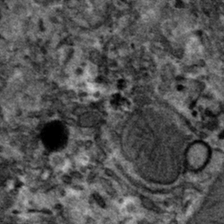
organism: Mouse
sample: Mouse hepatocytes